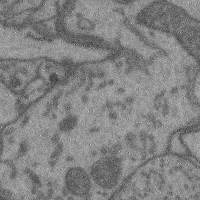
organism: Mouse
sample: Cerebral cortex